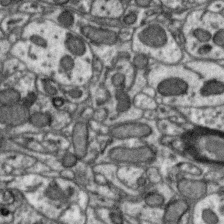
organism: Zebra finch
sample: Brain